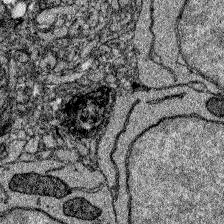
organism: Zebrafish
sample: Larval olfactory bulb